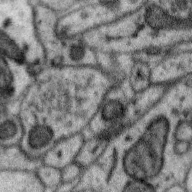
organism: Zebra finch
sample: Brain